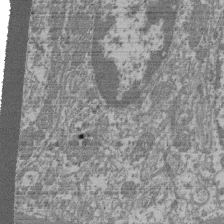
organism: Mouse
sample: Glomerulus